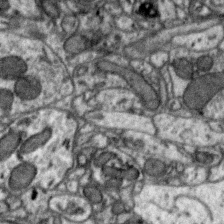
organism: Zebra finch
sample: Brain